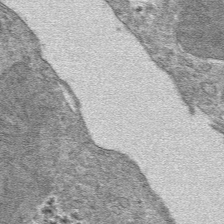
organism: Mouse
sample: Mouse hepatocytes